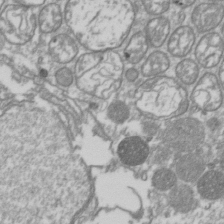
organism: Drosophila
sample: Cell division; meiosis; drosophila spermatocytes